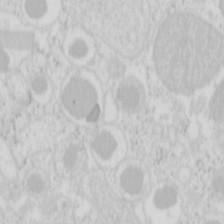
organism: Mouse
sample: Pancreas